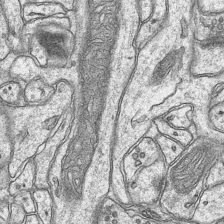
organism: Mouse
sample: CA1 Hippocampus